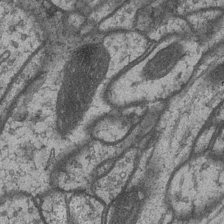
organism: Drosophila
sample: Optic medulla